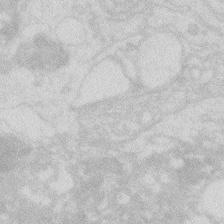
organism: Zebrafish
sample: Macrophage